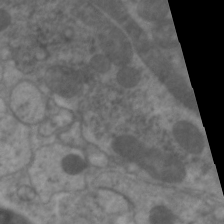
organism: C. elegans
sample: Pharynx